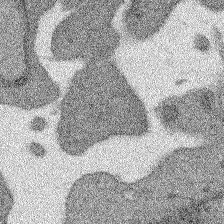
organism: Human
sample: HeLa cells